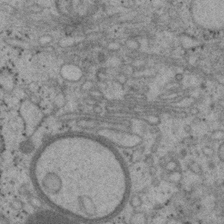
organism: Human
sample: HeLa cells